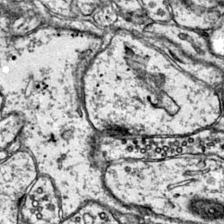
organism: Mouse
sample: Primary visual cortex